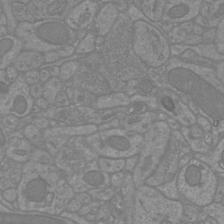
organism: Mouse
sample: Cortical neurons